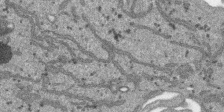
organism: Human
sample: Lung epithelial cells infected with SARS-CoV-2